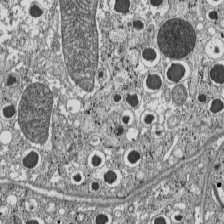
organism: C57BL Mouse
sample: Pancreatic islet